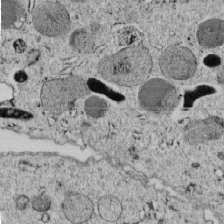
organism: C. elegans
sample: C. elegans embryo early stage